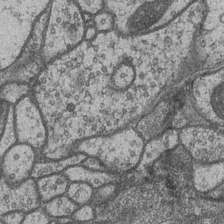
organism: Drosophila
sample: Optic medulla